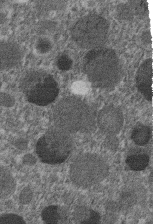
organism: C. elegans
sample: C. elegans embryo early stage